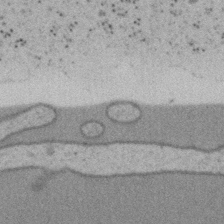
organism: Human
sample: HeLa cells